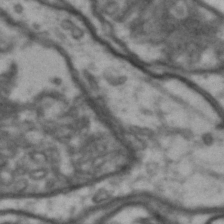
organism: Drosophila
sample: Brain